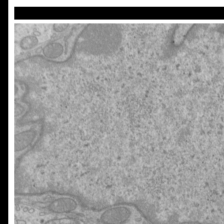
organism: Mouse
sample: Cilia; mouse epididymis